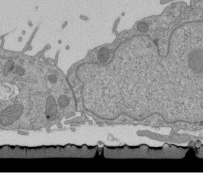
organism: Mouse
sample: ED-1 cell nuclei; centrioles